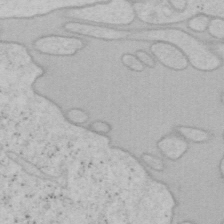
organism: Human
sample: HeLa cells